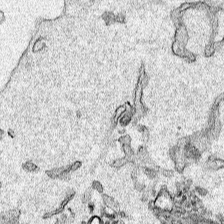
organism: Human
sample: Mitochondria in HCT116 cells